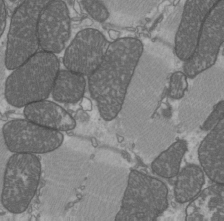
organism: C57BL Mouse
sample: Heart